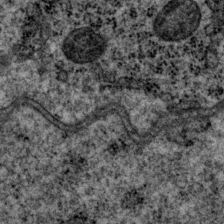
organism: P. pacificus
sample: Pharynx